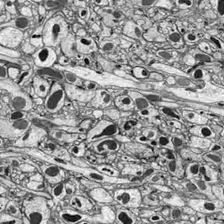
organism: Drosophila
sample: Optic lobe